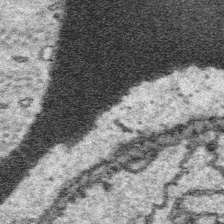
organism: Platynereis dumerilii